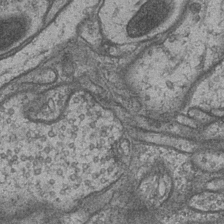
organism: Drosophila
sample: Optic medulla